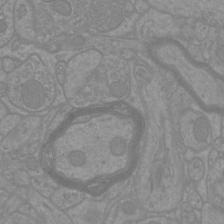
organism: Mouse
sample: Cortical neurons